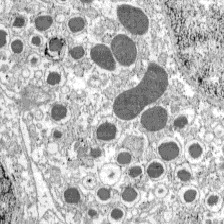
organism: C57BL Mouse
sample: Pancreatic islet